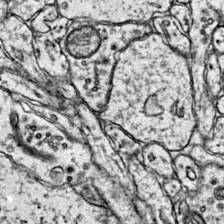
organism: Mouse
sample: Primary visual cortex